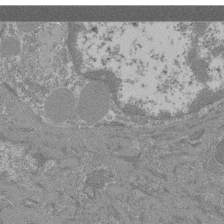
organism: Mouse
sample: Glomerulus